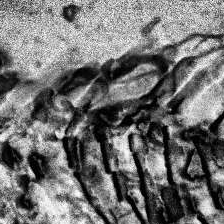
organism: Human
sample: Temporal Lobe